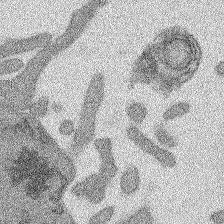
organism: Human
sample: HeLa cells